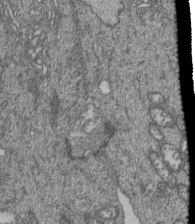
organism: Human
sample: Retinal organoid Rod and Cone cells